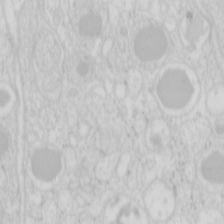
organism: Mouse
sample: Pancreas